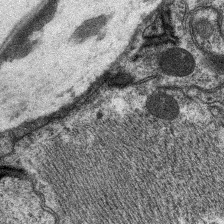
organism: C. elegans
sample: Pharynx